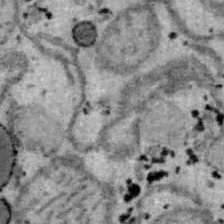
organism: Mouse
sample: Liver from an obese (ob/ob) mouse